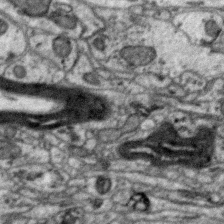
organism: Zebra finch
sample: Brain